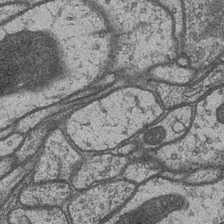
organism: Drosophila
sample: Optic medulla